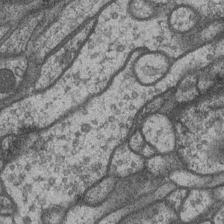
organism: Drosophila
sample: Optic medulla